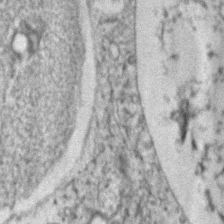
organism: Zebrafish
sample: Zebrafish embryo